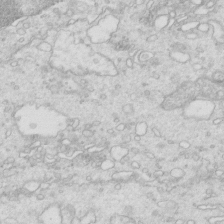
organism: Mouse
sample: Multiciliated cells